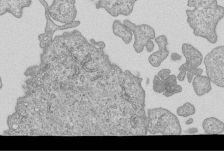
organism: Human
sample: MDA-MB-231 cells